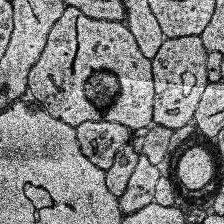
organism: Human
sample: Temporal Lobe